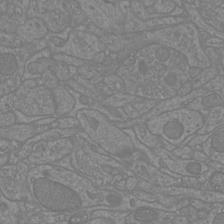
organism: Mouse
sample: Cortical neurons